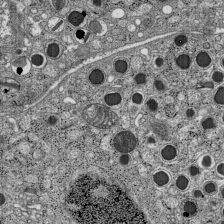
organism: C57BL Mouse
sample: Pancreatic islet